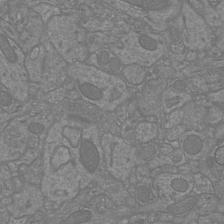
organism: Mouse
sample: Cortical neurons